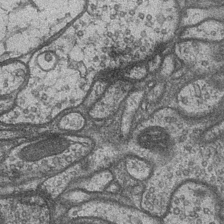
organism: Drosophila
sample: Optic medulla